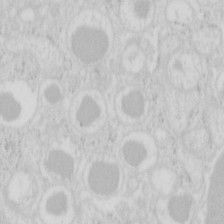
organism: Mouse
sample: Pancreas